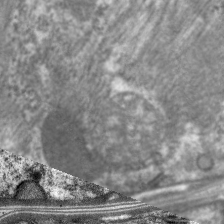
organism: C. elegans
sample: Pharynx